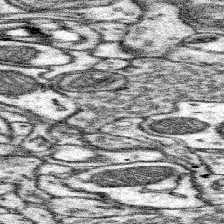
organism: Mouse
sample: Somatosensory cortex neuropil